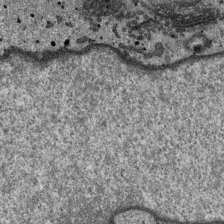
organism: Human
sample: Lung epithelial cells, uninfected (mock) control